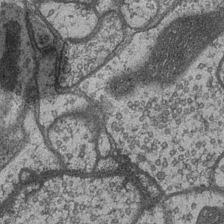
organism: Drosophila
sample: Optic medulla